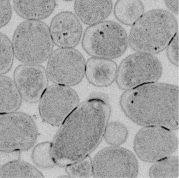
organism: E. coli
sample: Bacterial nucleoid